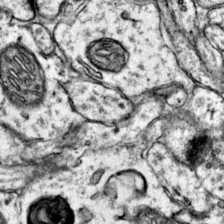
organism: Mouse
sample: Primary visual cortex